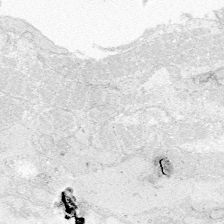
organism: Zebrafish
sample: Whole-Brain